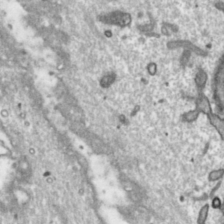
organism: Toxoplasma gondii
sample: Parasites in a vacuole inside a host cell